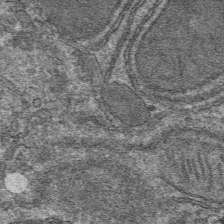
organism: Mouse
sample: Mouse hepatocytes